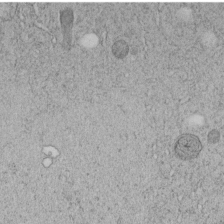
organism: C. elegans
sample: C. elegans embryo early stage